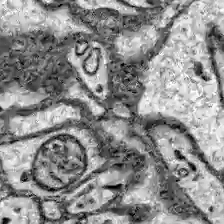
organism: Zebrafish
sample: Brain